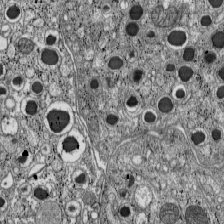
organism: C57BL Mouse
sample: Pancreatic islet